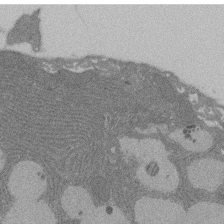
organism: Rat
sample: Salivary granule